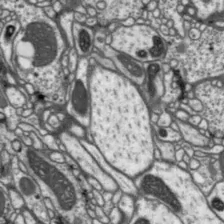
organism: Drosophila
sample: Protocerebral bridge